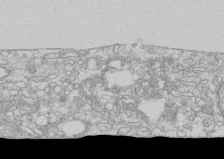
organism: Human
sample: CRL-1474